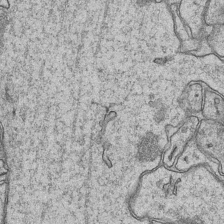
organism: Mouse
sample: CA1 Hippocampus